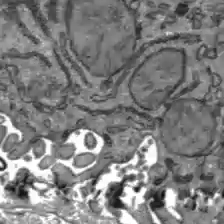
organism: C57BL Mouse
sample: Liver